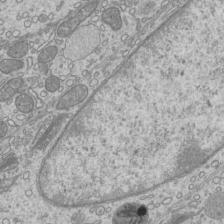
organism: Mouse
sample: Cilia; mouse epididymis